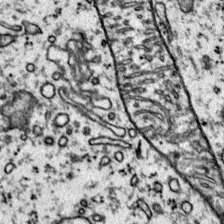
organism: Mouse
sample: Primary visual cortex